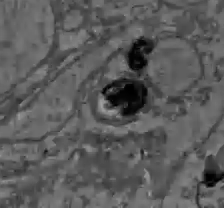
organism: C57BL Mouse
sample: Liver